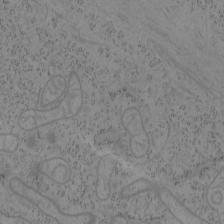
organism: Mouse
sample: OT-I killer T cells with ID8 ovarian cancer cells